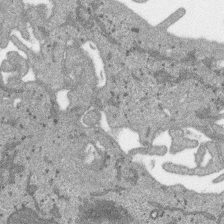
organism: Human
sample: Lung epithelial cells infected with SARS-CoV-2